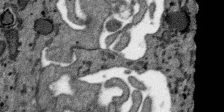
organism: Human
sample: Lung epithelial cells, uninfected (mock) control